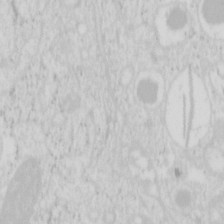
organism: Mouse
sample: Pancreas